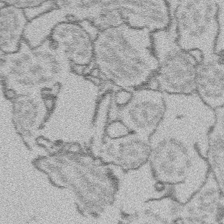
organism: Platynereis dumerilii